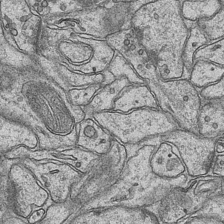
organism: Mouse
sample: CA1 Hippocampus